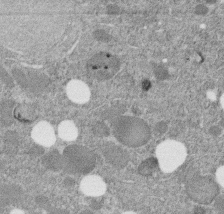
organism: C. elegans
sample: C. elegans embryo early stage